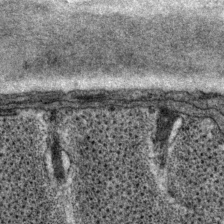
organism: P. pacificus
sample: Pharynx